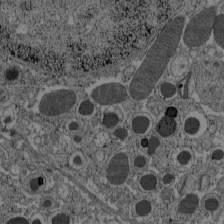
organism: C57BL Mouse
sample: Pancreatic islet